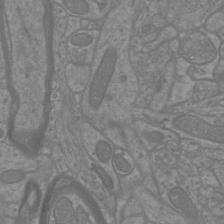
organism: Mouse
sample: Cortical neurons